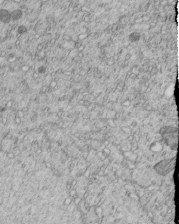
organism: C. elegans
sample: C. elegans embryo early stage